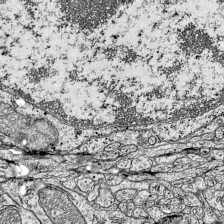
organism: Mouse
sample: Visual Cortex